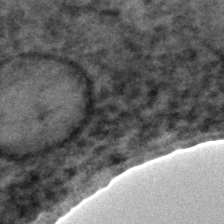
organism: C. elegans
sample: C. elegans embryo